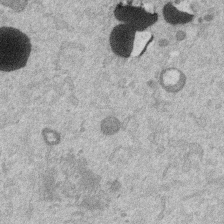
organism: Mouse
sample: Dividing mouse embryo 1 cell stage